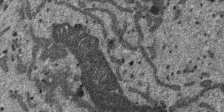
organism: Human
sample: Lung epithelial cells infected with SARS-CoV-2